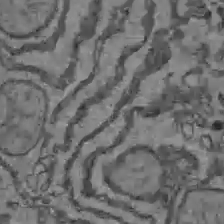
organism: C57BL Mouse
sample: Liver